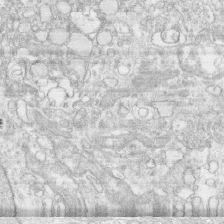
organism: Human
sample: CRL-1474